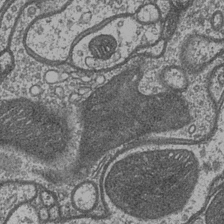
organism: Drosophila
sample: Optic medulla